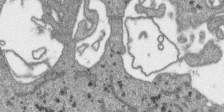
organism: Human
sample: Lung epithelial cells infected with SARS-CoV-2